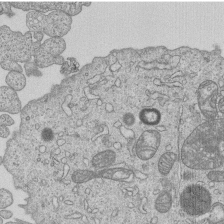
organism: Human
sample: MDA-MB-231 cells